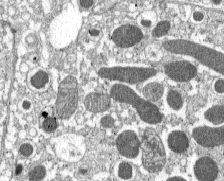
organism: C57BL Mouse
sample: Pancreatic islet